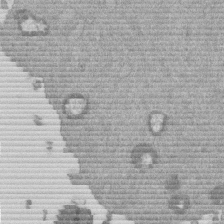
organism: Mouse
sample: Dividing mouse embryo 1 cell stage